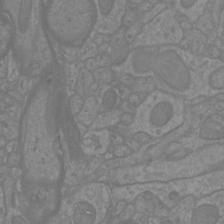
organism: Mouse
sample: Cortical neurons